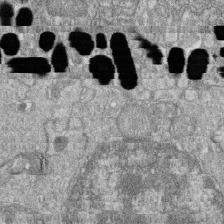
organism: Zebrafish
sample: Cilia; retinal pigment epithelium